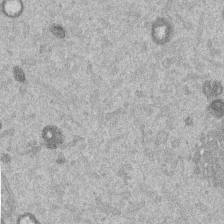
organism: Mouse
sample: Dividing mouse embryo 1 cell stage